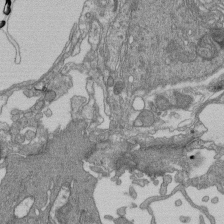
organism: Human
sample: Retinal organoid Rod and Cone cells